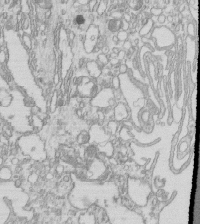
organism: Mouse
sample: Macrophages